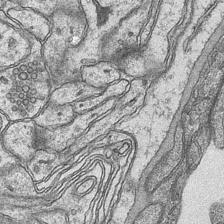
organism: Mouse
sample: CA1 Hippocampus